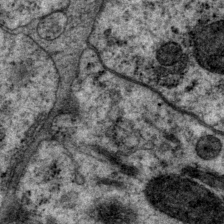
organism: P. pacificus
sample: Pharynx